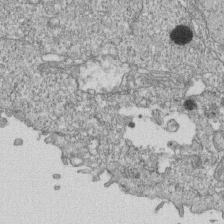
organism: Human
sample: HeLa cell HIV synapse